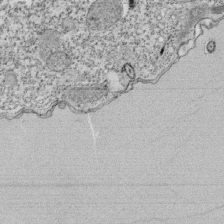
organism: Tetrahymena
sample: Cilia in tetrahymena